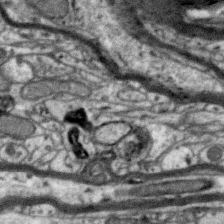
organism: Zebra finch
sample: Brain